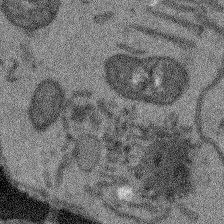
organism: Arabidopsis thaliana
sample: Root tip